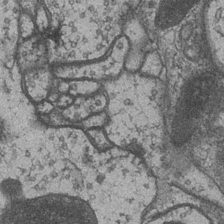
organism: Drosophila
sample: Optic medulla